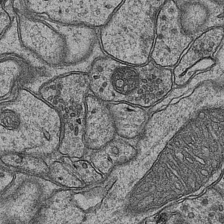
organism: Mouse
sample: CA1 Hippocampus